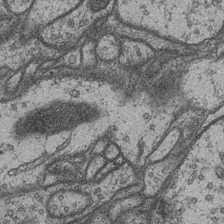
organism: Drosophila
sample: Optic medulla